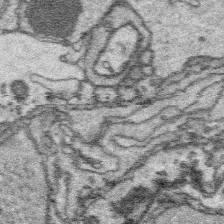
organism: Platynereis dumerilii